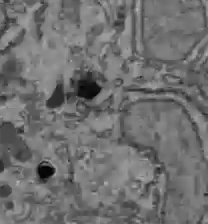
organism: C57BL Mouse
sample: Liver